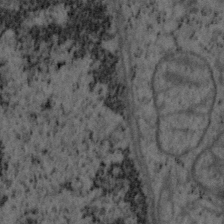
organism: Human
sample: HeLa cells